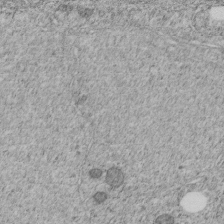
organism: C. elegans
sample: C. elegans embryo early stage